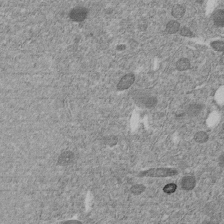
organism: C. elegans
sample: C. elegans embryo early stage